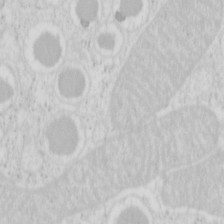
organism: Mouse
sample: Pancreas